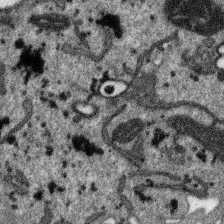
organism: Human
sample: Lung epithelial cells infected with SARS-CoV-2